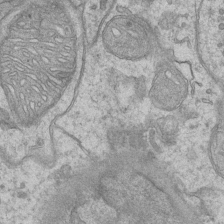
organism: Mouse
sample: CA1 Hippocampus